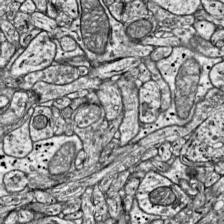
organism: Mouse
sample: Visual Cortex